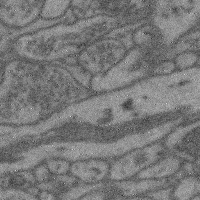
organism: Mouse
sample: Cerebral cortex